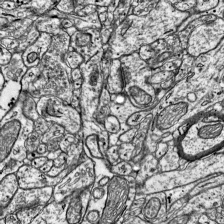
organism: Mouse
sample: Visual Cortex